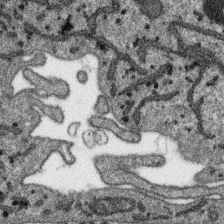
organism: Human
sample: Lung epithelial cells infected with SARS-CoV-2